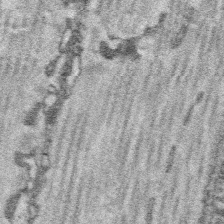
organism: Platynereis dumerilii